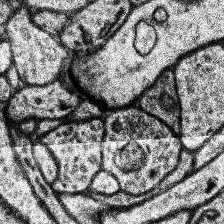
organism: Human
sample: Temporal Lobe